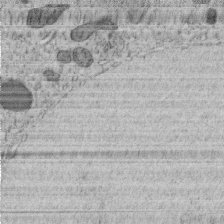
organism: C. elegans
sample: C. elegans embryo early stage